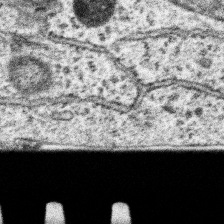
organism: Human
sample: HeLa cells